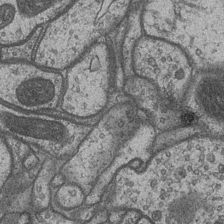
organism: Drosophila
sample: Optic medulla